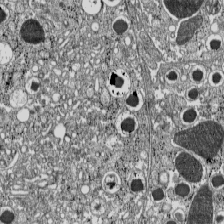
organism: C57BL Mouse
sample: Pancreatic islet